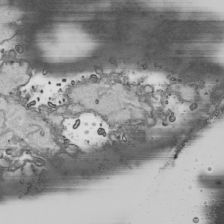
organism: Human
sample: Mitochondria in HCT116 cells